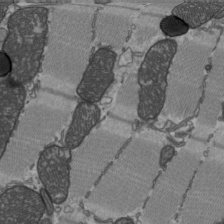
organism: C57BL Mouse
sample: Heart